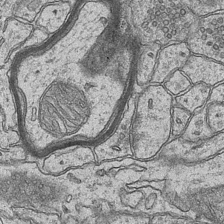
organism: Mouse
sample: CA1 Hippocampus